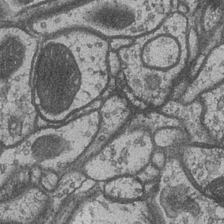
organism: Drosophila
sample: Optic medulla